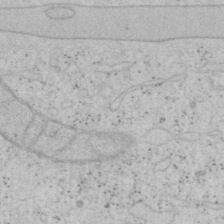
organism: Human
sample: HeLa cells